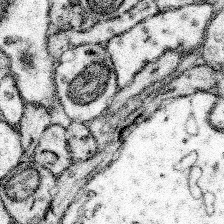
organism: Mouse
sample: Somatosensory cortex neuropil